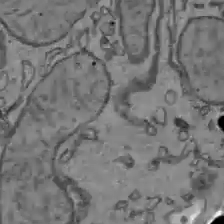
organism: C57BL Mouse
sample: Liver